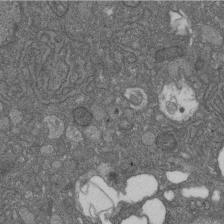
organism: Drosophila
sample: Nephrocyte